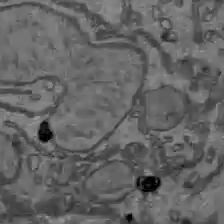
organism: C57BL Mouse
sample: Liver